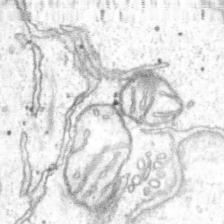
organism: Human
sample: HeLa cells